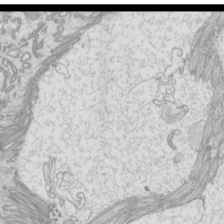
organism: Mouse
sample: Cilia; mouse epididymis